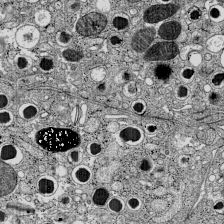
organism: C57BL Mouse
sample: Pancreatic islet